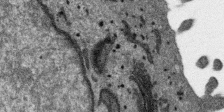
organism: Human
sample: Lung epithelial cells, uninfected (mock) control